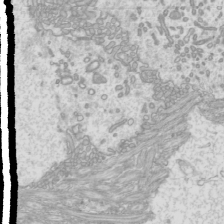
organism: Mouse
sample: Cilia; mouse epididymis